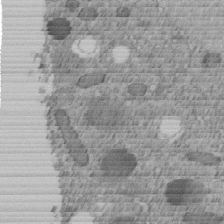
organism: C. elegans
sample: C. elegans embryo early stage